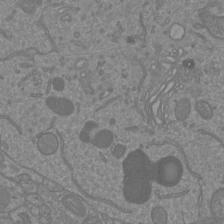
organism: Mouse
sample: Cortical neurons